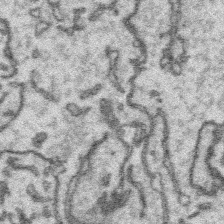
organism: Platynereis dumerilii